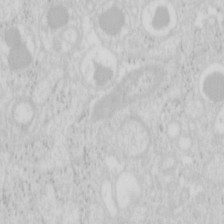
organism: Mouse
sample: Pancreas